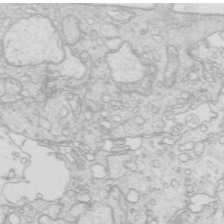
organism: Mouse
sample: Multiciliated cells